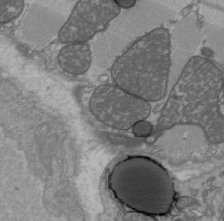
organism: C57BL Mouse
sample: Heart